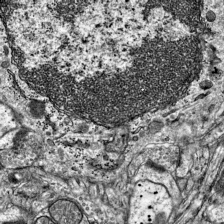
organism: Mouse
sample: Visual Cortex